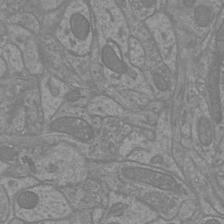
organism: Mouse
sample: Cortical neurons